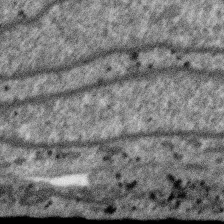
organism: Human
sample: Lung epithelial cells infected with SARS-CoV-2